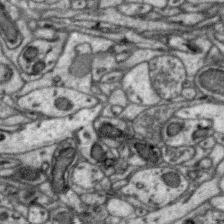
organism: Zebra finch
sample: Brain